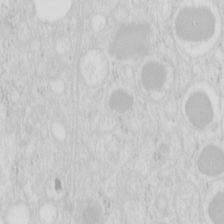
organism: Mouse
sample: Pancreas